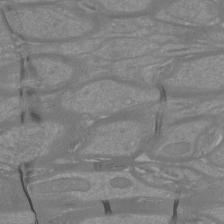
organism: Mouse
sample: Cortical neurons